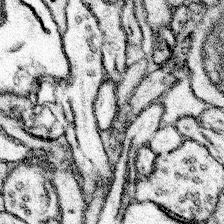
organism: Mouse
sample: Somatosensory cortex neuropil